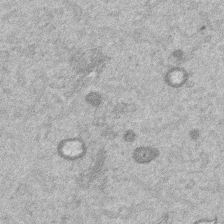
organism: Mouse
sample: Dividing mouse embryo 1 cell stage